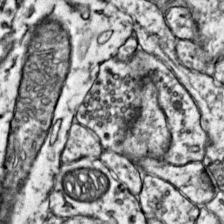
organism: Mouse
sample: Primary visual cortex